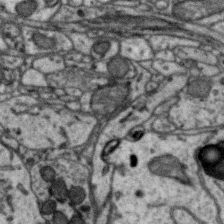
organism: Zebra finch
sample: Brain